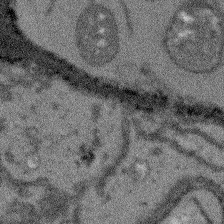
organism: Arabidopsis thaliana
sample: Root tip